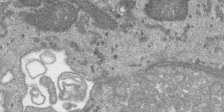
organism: Human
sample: Lung epithelial cells infected with SARS-CoV-2